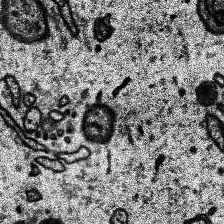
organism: Human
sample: Temporal Lobe